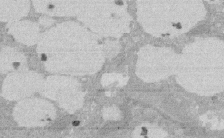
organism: Rat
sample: Salivary granule